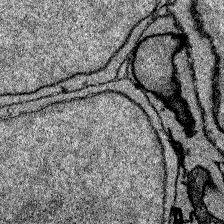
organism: Zebrafish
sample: Larval olfactory bulb